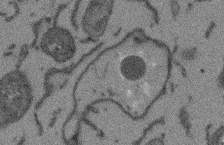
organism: Arabidopsis thaliana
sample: Root tip